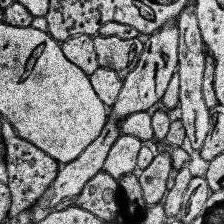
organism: Human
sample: Temporal Lobe